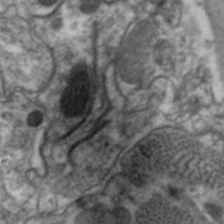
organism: C. elegans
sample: Pharynx